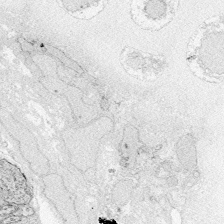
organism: Zebrafish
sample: Whole-Brain